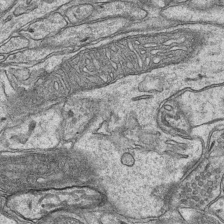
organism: Mouse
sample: CA1 Hippocampus